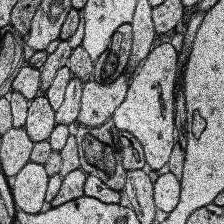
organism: Human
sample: Temporal Lobe